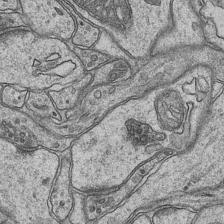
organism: Mouse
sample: CA1 Hippocampus